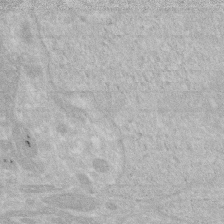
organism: Human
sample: HIV infected U937 cells